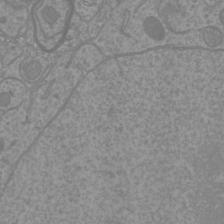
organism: Mouse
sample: Cortical neurons